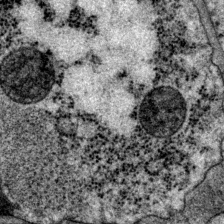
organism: P. pacificus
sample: Pharynx